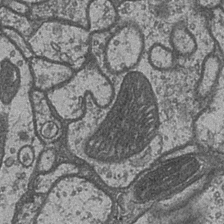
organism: Drosophila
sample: Optic medulla